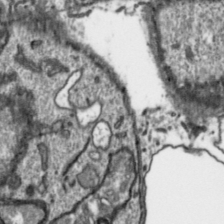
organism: Toxoplasma gondii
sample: Parasites in a vacuole inside a host cell